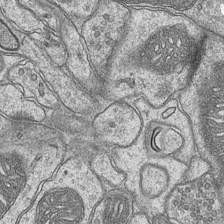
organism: Mouse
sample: CA1 Hippocampus